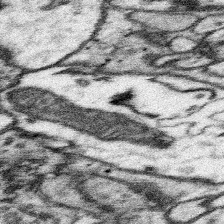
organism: Mouse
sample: Somatosensory cortex neuropil